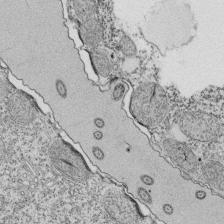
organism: Tetrahymena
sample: Cilia in tetrahymena